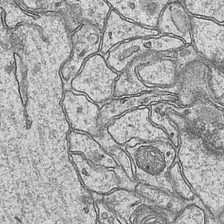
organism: Mouse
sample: CA1 Hippocampus